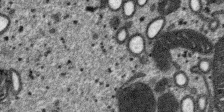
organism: Human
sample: Lung epithelial cells infected with SARS-CoV-2